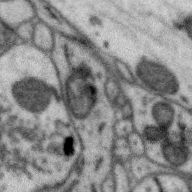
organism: Zebra finch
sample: Brain